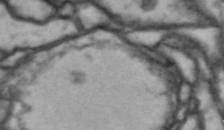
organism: Drosophila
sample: Brain